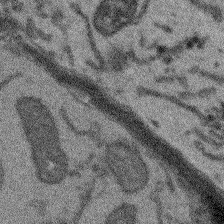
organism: Arabidopsis thaliana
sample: Root tip